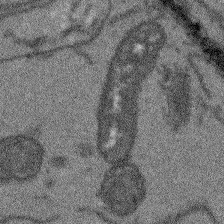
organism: Arabidopsis thaliana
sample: Root tip